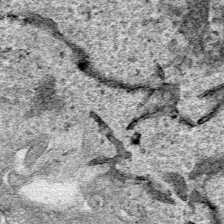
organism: Human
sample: Mitochondria in HCT116 cells